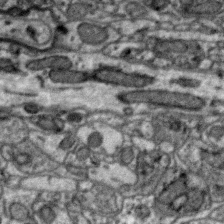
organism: Zebra finch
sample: Brain